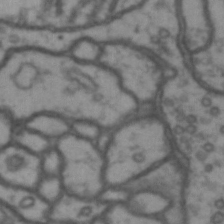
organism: Drosophila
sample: Brain